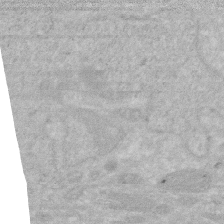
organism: Human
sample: HIV infected U937 cells